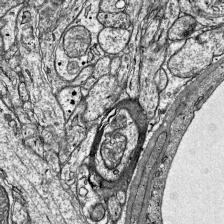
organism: Mouse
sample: Visual Cortex